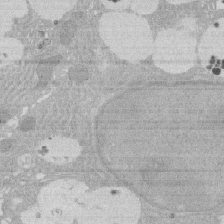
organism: Rat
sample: Salivary granule